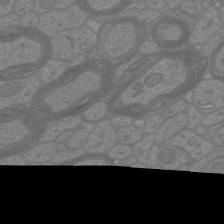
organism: Mouse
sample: Cortical neurons